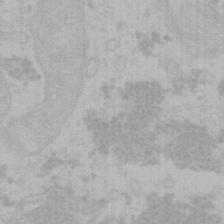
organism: Mouse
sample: Choroid plexus